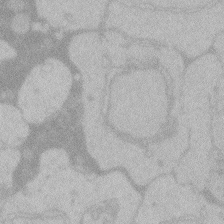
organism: Zebrafish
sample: Macrophage infected with Toxoplasma gondii